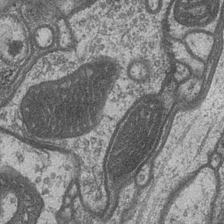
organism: Drosophila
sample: Optic medulla